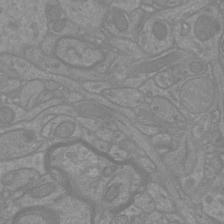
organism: Mouse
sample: Cortical neurons